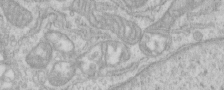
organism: Human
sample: Centriole in RPE cells